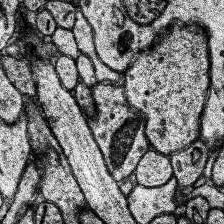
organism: Human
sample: Temporal Lobe